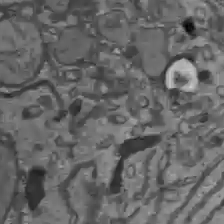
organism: C57BL Mouse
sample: Liver